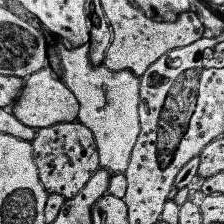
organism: Human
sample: Temporal Lobe